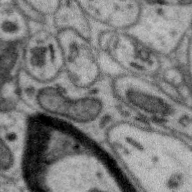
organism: Zebra finch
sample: Brain